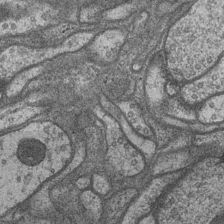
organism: Drosophila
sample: Optic medulla